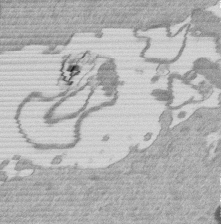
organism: Mouse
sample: Dividing mouse embryo 1 cell stage